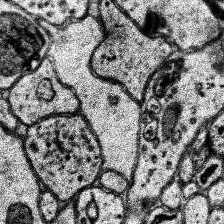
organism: Human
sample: Temporal Lobe